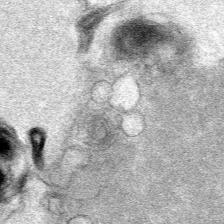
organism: Mouse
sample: Mouse Salivary gland